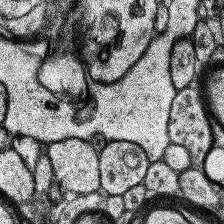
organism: Human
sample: Temporal Lobe